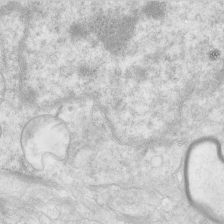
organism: Human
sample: Neocortex